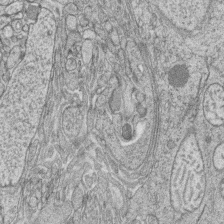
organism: Zebrafish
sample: synaptic ribbons in rod cells and cone cells